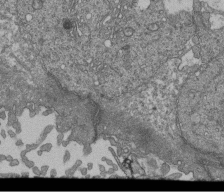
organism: Human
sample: Retinal organoid Rod and Cone cells